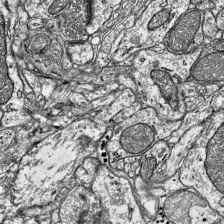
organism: Mouse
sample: Visual Cortex